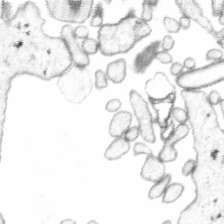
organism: Human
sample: HeLa cells